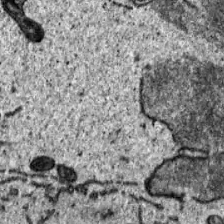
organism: Human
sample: HeLa cells